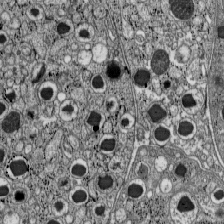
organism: C57BL Mouse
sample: Pancreatic islet